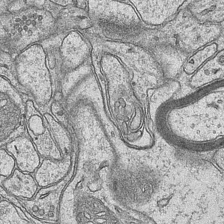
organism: Mouse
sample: CA1 Hippocampus